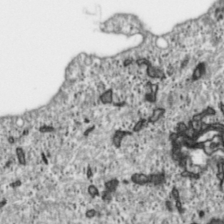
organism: Toxoplasma gondii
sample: Parasites in a vacuole inside a host cell